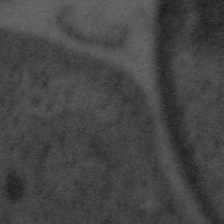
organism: Tuwongella immobilis